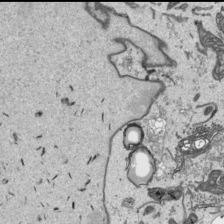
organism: Human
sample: Mitochondria in HCT116 cells